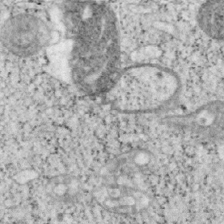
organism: Mouse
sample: OT-I killer T cells with ID8 ovarian cancer cells